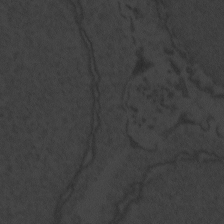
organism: Zebrafish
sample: Macrophage infected with Toxoplasma gondii